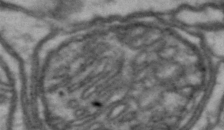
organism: Drosophila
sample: Brain